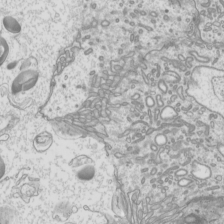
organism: Mouse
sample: Cilia; mouse epididymis